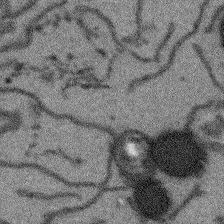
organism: Arabidopsis thaliana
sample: Root tip